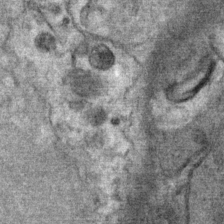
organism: Mouse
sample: Mouse Salivary gland